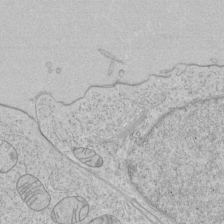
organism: Human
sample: Mitochondria in HCT116 cells